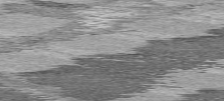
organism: C57BL Mouse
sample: Heart